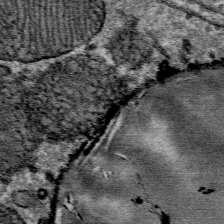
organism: Mouse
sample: Mouse Salivary gland